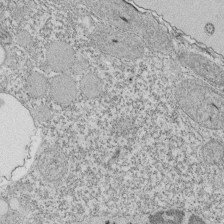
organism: Tetrahymena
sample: Cilia in tetrahymena